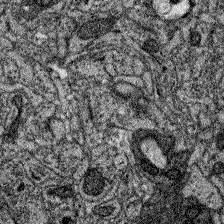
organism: Zebrafish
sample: Larval olfactory bulb